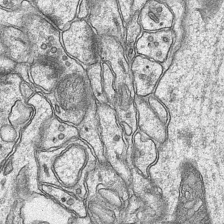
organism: Mouse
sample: CA1 Hippocampus